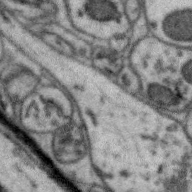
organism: Zebra finch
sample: Brain